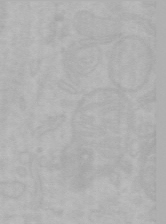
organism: Mouse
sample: Choroid plexus